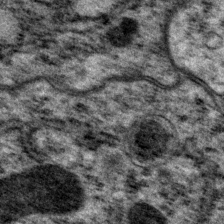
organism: P. pacificus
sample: Pharynx